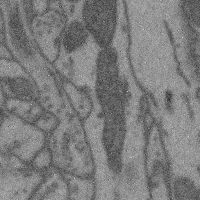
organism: Mouse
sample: Cerebral cortex